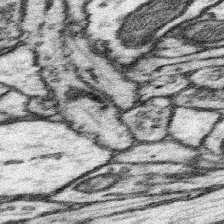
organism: Mouse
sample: Somatosensory cortex neuropil